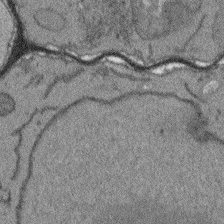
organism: Arabidopsis thaliana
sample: Root tip